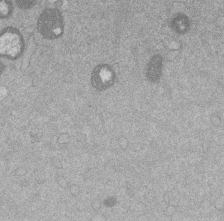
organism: Mouse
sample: Dividing mouse embryo 1 cell stage